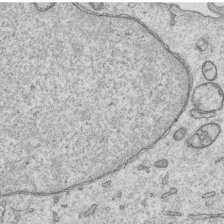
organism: Human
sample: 1205lu cells